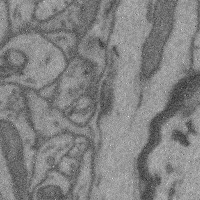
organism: Mouse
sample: Cerebral cortex